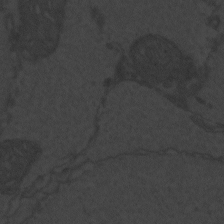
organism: Zebrafish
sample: Macrophage infected with Toxoplasma gondii